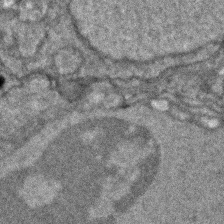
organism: Zebrafish